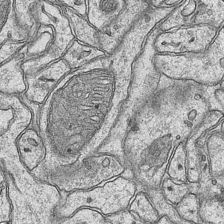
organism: Mouse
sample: CA1 Hippocampus